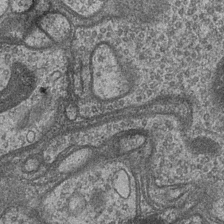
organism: Drosophila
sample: Optic medulla